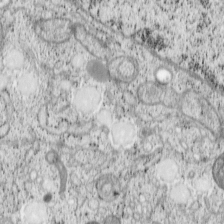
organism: African green monkey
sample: COS-7 cells